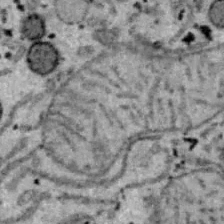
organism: Mouse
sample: Liver from an obese (ob/ob) mouse